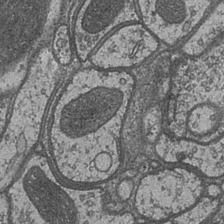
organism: Drosophila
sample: Optic medulla